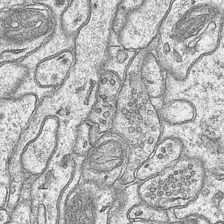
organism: Mouse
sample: CA1 Hippocampus